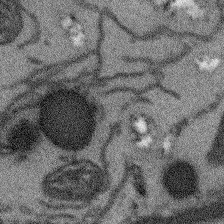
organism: Arabidopsis thaliana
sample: Root tip